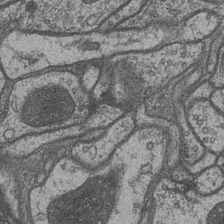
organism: Drosophila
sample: Optic medulla